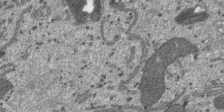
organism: Human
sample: Lung epithelial cells infected with SARS-CoV-2